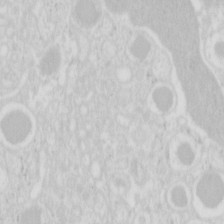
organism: Mouse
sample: Pancreas